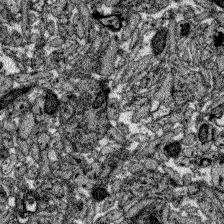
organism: Zebrafish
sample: Larval olfactory bulb